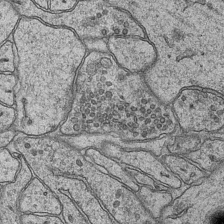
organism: Mouse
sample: CA1 Hippocampus